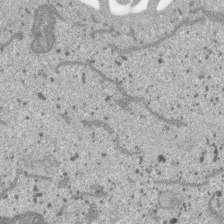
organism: Human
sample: Lung epithelial cells infected with SARS-CoV-2